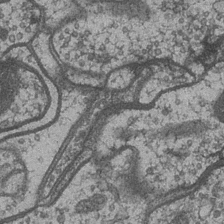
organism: Drosophila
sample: Optic medulla